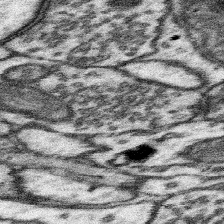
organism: Mouse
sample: Somatosensory cortex neuropil